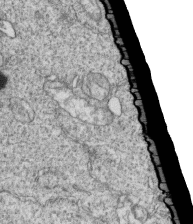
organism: Human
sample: HeLa cell HIV synapse